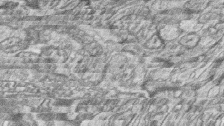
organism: Zebrafish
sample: synaptic ribbons in rod cells and cone cells